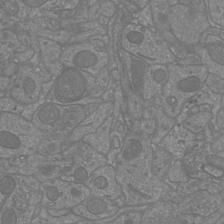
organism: Mouse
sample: Cortical neurons